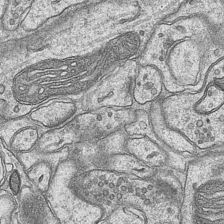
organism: Mouse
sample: CA1 Hippocampus